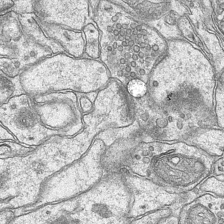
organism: Mouse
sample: CA1 Hippocampus